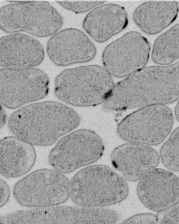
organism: E. coli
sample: Bacterial nucleoid